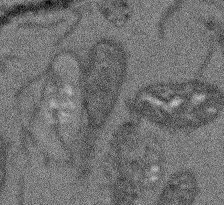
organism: Arabidopsis thaliana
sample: Root tip